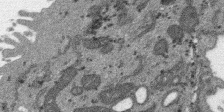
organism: Human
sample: Lung epithelial cells infected with SARS-CoV-2